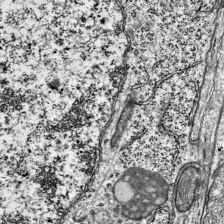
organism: Mouse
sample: Visual Cortex